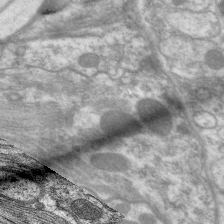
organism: C. elegans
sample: Pharynx